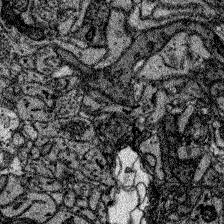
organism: Zebrafish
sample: Larval olfactory bulb